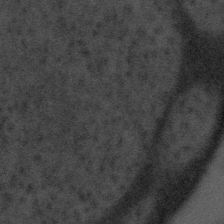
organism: Tuwongella immobilis